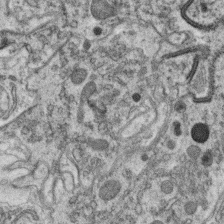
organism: C. elegans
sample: C. elegans oocyte; sperm cells